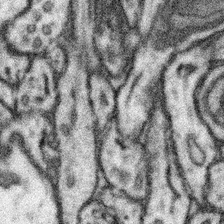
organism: Mouse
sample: Somatosensory cortex neuropil